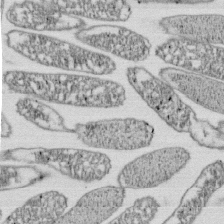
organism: E. coli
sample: Bacterial nucleoid